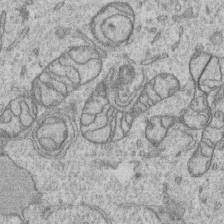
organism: Human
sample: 1205lu cells